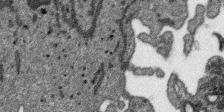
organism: Human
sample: Lung epithelial cells infected with SARS-CoV-2